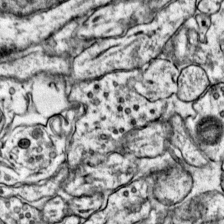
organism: Mouse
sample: Primary visual cortex